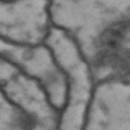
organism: Drosophila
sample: Brain